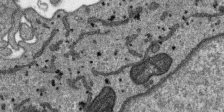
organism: Human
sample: Lung epithelial cells, uninfected (mock) control